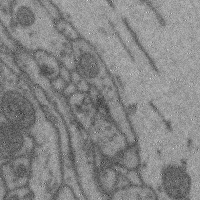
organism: Mouse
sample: Cerebral cortex